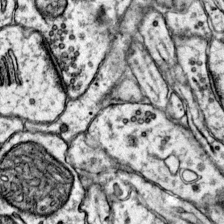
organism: Mouse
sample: Primary visual cortex